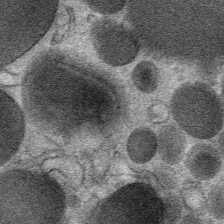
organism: Mouse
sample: Mouse Salivary gland